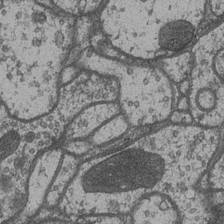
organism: Drosophila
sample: Optic medulla